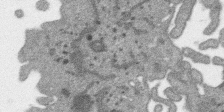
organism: Human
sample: Lung epithelial cells infected with SARS-CoV-2